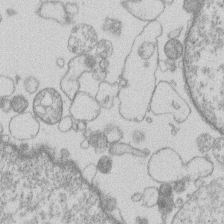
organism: Human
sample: Macrophage cells